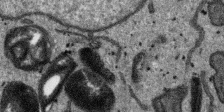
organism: Human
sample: Lung epithelial cells, uninfected (mock) control